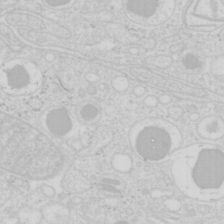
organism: Mouse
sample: Pancreas